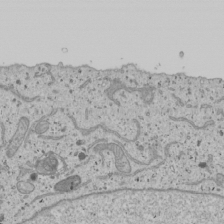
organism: Human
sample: Mitochondria in U2OS cells